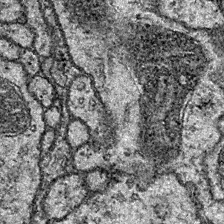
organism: Drosophila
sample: Ventral Nerve Cord